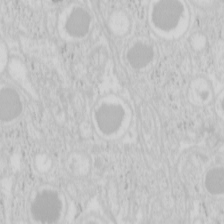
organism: Mouse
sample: Pancreas